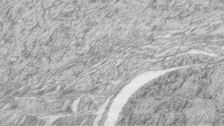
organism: Zebrafish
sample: synaptic ribbons in rod cells and cone cells